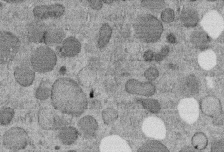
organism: C. elegans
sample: C. elegans embryo early stage